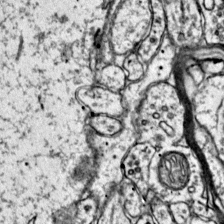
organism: Mouse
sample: Primary visual cortex